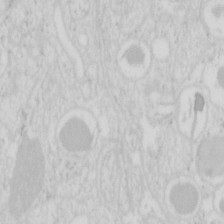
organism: Mouse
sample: Pancreas